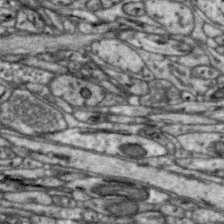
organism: Zebra finch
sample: Brain